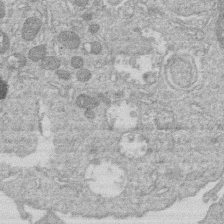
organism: Human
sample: Macrophage cells